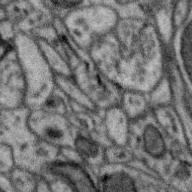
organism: Zebra finch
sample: Brain